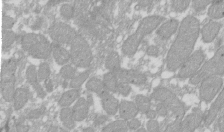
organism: Xenopus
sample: Cilia; centrioles in frog embryo cells